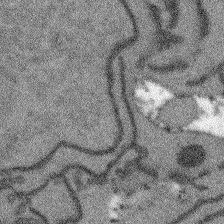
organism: Arabidopsis thaliana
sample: Root tip